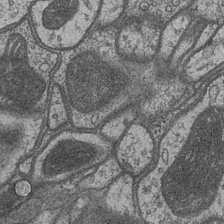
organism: Drosophila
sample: Optic medulla